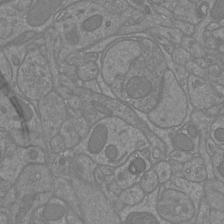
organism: Mouse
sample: Cortical neurons